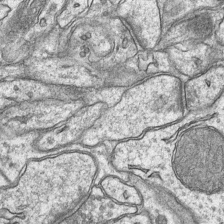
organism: Mouse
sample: CA1 Hippocampus